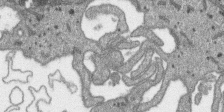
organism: Human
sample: Lung epithelial cells infected with SARS-CoV-2